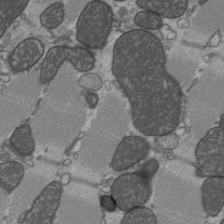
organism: C57BL Mouse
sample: Heart